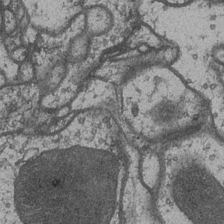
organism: Drosophila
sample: Optic medulla